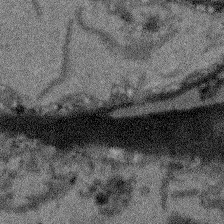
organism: Arabidopsis thaliana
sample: Root tip